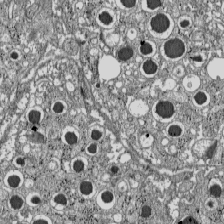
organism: C57BL Mouse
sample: Pancreatic islet